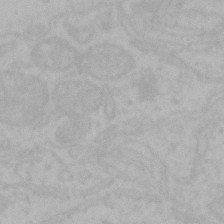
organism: Mouse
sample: Choroid plexus